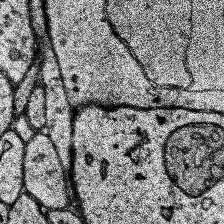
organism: Human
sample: Temporal Lobe